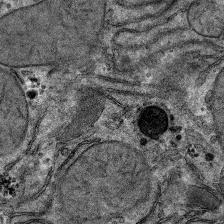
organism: Mouse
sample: Mouse hepatocytes